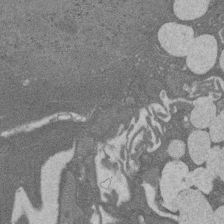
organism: Rat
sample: Salivary granule